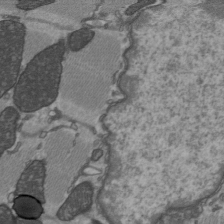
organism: C57BL Mouse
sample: Heart